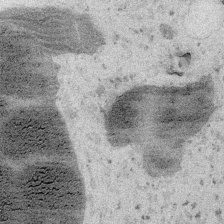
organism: Embia sp.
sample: Silk gland